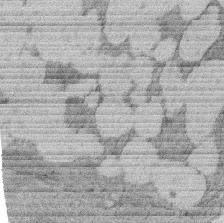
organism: Rat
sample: Salivary granule